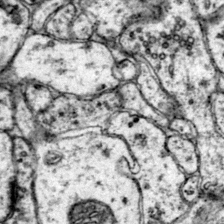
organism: Mouse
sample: Primary visual cortex